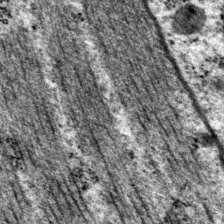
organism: P. pacificus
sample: Pharynx